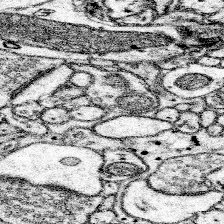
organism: Mouse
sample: Somatosensory cortex neuropil